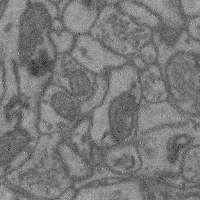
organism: Mouse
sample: Cerebral cortex